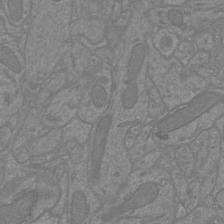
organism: Mouse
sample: Cortical neurons